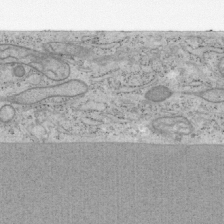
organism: Human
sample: HeLa cells